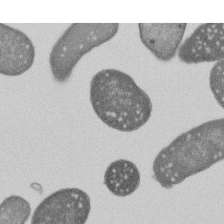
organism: E. coli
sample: Bacterial nucleoid